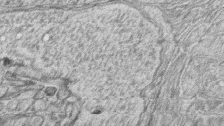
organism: Zebrafish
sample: synaptic ribbons in rod cells and cone cells